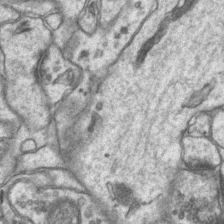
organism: Mouse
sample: CA1 Hippocampus